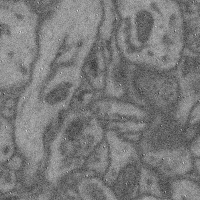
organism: Mouse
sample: Cerebral cortex